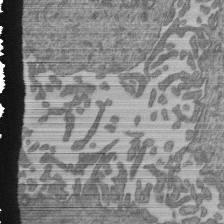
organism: Human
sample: Retinal organoid Rod and Cone cells